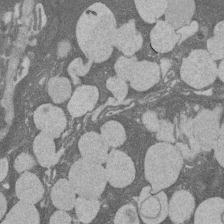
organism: Rat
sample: Salivary granule